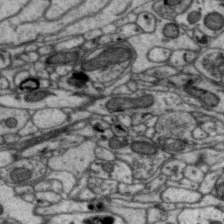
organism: Zebra finch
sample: Brain